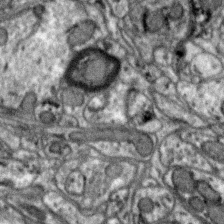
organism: Zebra finch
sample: Brain